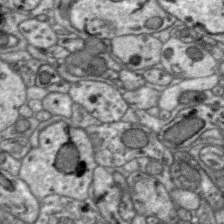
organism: Zebra finch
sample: Brain